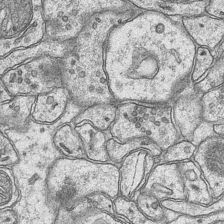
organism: Mouse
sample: CA1 Hippocampus